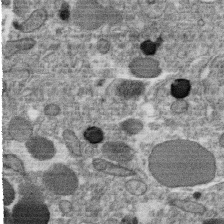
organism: C. elegans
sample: C. elegans oocyte; sperm cells